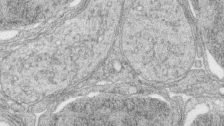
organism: Zebrafish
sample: synaptic ribbons in rod cells and cone cells